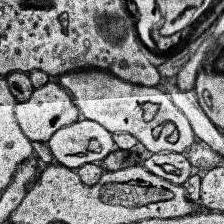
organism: Human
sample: Temporal Lobe